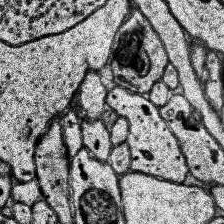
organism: Human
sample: Temporal Lobe